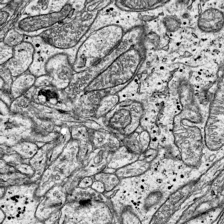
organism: Mouse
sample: Visual Cortex